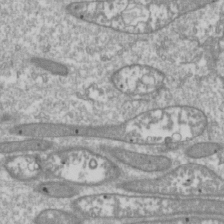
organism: Drosophila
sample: Cell division; meiosis; drosophila spermatocytes